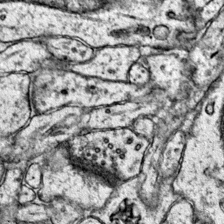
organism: Mouse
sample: Primary visual cortex